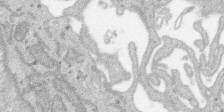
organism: Human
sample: Lung epithelial cells infected with SARS-CoV-2